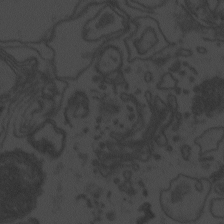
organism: Zebrafish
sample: Macrophage infected with Toxoplasma gondii